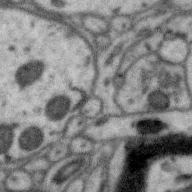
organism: Zebra finch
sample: Brain